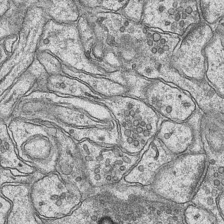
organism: Mouse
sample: CA1 Hippocampus